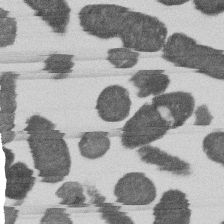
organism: E. coli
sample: Bacterial nucleoid